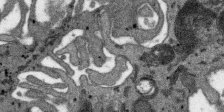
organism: Human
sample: Lung epithelial cells, uninfected (mock) control